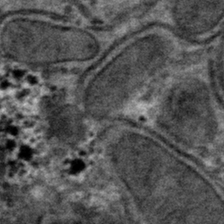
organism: Mouse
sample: Mouse hepatocytes